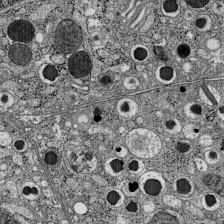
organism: C57BL Mouse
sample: Pancreatic islet